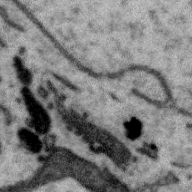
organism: Zebra finch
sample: Brain